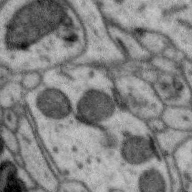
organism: Zebra finch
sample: Brain